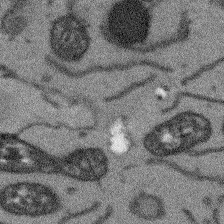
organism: Arabidopsis thaliana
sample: Root tip